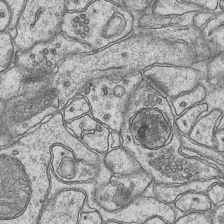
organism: Mouse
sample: CA1 Hippocampus